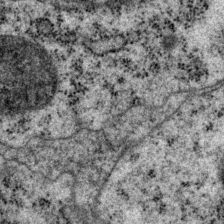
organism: P. pacificus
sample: Pharynx